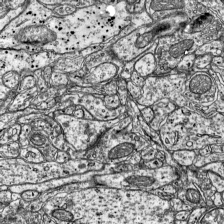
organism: Mouse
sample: Visual Cortex